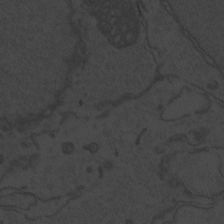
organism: Zebrafish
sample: Macrophage infected with Toxoplasma gondii